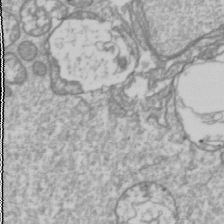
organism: Drosophila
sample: Cell division; meiosis; drosophila spermatocytes